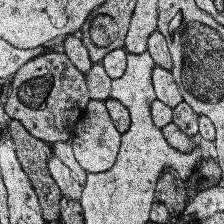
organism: Human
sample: Temporal Lobe